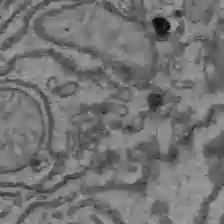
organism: C57BL Mouse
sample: Liver